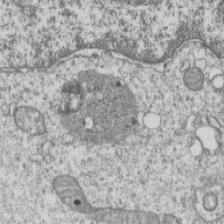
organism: Human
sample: MDA-MB-231 cells